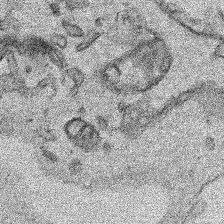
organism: Human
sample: Mitochondria in HCT116 cells